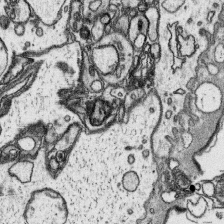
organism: Platynereis dumerilii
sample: Parapodia